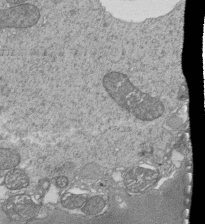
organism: Tetrahymena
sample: Cilia in tetrahymena